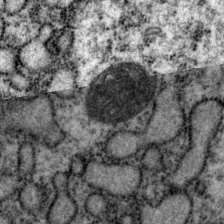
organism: P. pacificus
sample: Pharynx